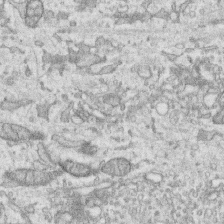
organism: Human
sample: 1205lu cells